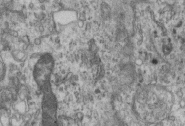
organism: Mouse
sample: Centriole in ependymal cells